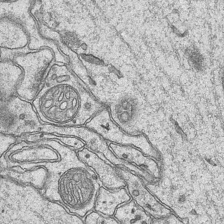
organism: Mouse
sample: CA1 Hippocampus